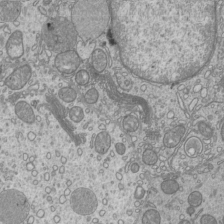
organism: Mouse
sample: Cilia; mouse epididymis